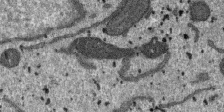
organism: Human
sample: Lung epithelial cells, uninfected (mock) control